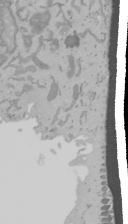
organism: Mouse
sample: Cancer cell death in ED-1 cells